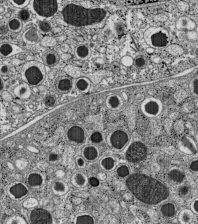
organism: C57BL Mouse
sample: Pancreatic islet